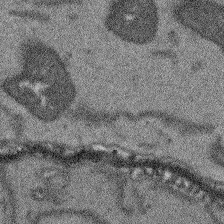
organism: Arabidopsis thaliana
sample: Root tip